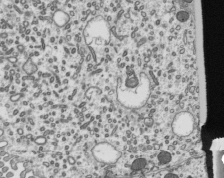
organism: Mouse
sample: Mouse epididymis efferent ductule cilia